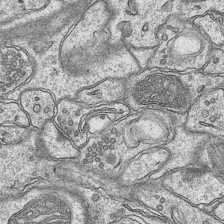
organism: Mouse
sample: CA1 Hippocampus